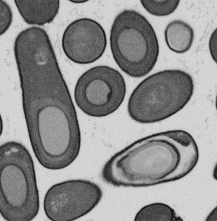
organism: B. subtilis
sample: Bacterial spore